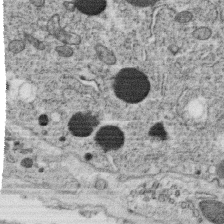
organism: C. elegans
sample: C. elegans oocyte; sperm cells